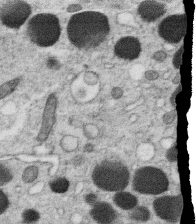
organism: C. elegans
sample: C. elegans oocyte; sperm cells